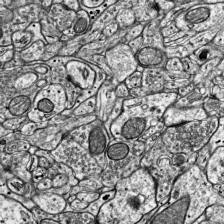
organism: Mouse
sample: Visual Cortex